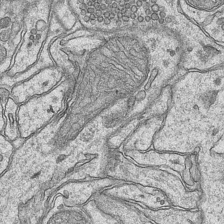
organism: Mouse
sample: CA1 Hippocampus